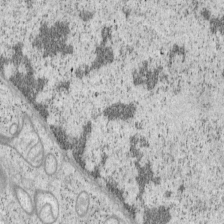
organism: Mouse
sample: OT-I killer T cells with ID8 ovarian cancer cells